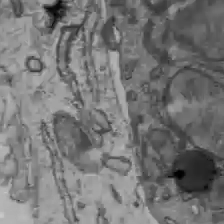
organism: C57BL Mouse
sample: Liver